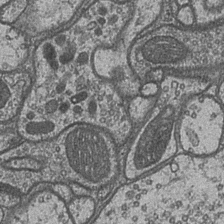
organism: Drosophila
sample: Optic medulla